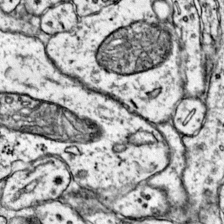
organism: Mouse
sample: Primary visual cortex